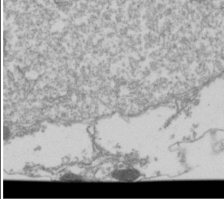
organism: Drosophila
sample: Cell division; meiosis; drosophila spermatocytes